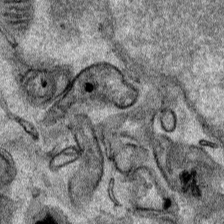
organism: Human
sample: Mitochondria in HCT116 cells